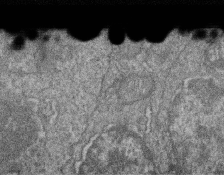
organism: Zebrafish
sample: Cilia; retinal pigment epithelium